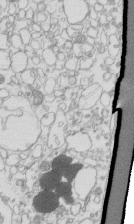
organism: Mouse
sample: Macrophages